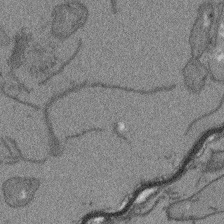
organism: Arabidopsis thaliana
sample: Root tip